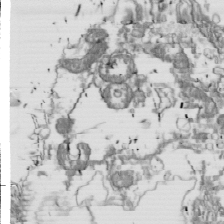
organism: Drosophila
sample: Cell division; meiosis; drosophila spermatocytes